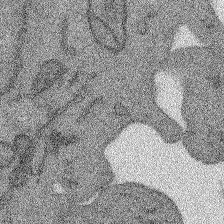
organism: Human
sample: HeLa cells